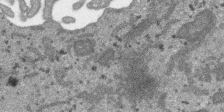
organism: Human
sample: Lung epithelial cells infected with SARS-CoV-2